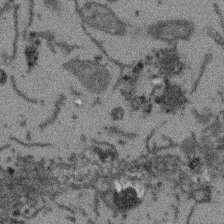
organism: Arabidopsis thaliana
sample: Root tip